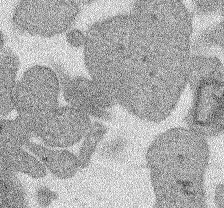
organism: Human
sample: HeLa cells